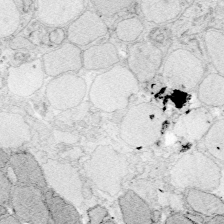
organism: Zebrafish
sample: Whole-Brain